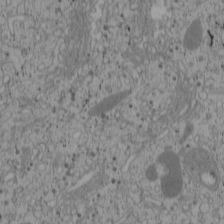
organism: African green monkey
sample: COS-7 cells